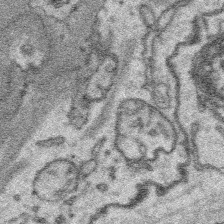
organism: Platynereis dumerilii